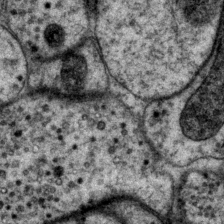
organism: P. pacificus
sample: Pharynx